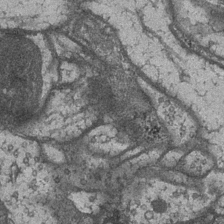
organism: Drosophila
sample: Optic medulla